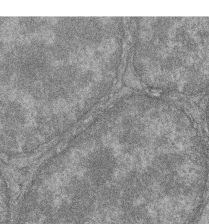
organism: Zebrafish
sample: Cilia; retinal pigment epithelium